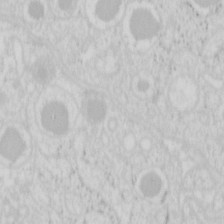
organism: Mouse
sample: Pancreas